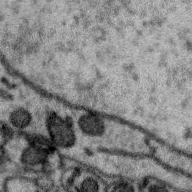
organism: Zebra finch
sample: Brain